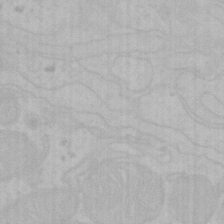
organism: Mouse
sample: Choroid plexus